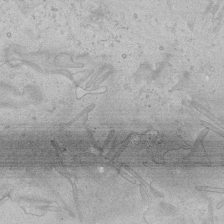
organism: Human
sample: Mitochondria in HCT116 cells